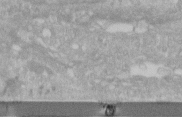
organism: Human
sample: Centriole in RPE cells